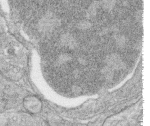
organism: Zebrafish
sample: synaptic ribbons in rod cells and cone cells